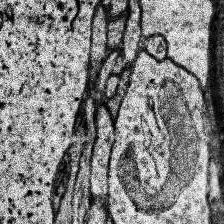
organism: Human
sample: Temporal Lobe